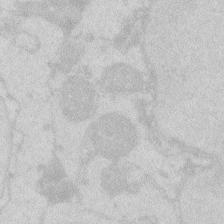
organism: Zebrafish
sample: Macrophage